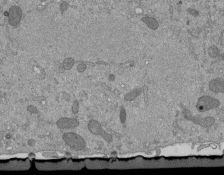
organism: Mouse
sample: ED-1 cell nuclei; centrioles